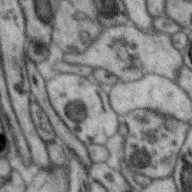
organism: Zebra finch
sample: Brain